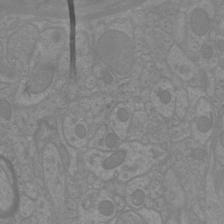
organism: Mouse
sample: Cortical neurons